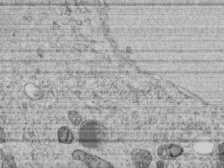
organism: C. elegans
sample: C. elegans embryo early stage